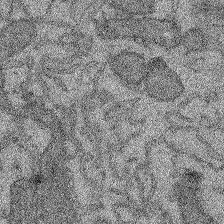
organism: Human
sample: HeLa cells